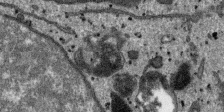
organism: Human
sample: Lung epithelial cells, uninfected (mock) control